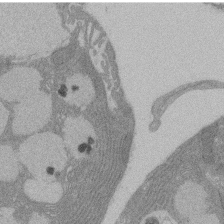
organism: Rat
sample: Salivary granule